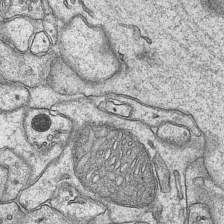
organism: Mouse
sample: CA1 Hippocampus